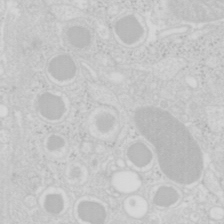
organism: Mouse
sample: Pancreas